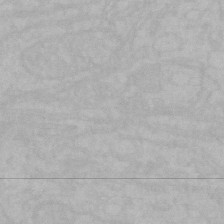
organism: Mouse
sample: Choroid plexus